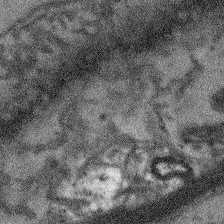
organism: Arabidopsis thaliana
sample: Root tip